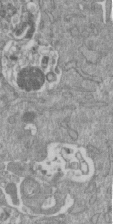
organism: Mouse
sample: ED-1 cell nuclei; centrioles